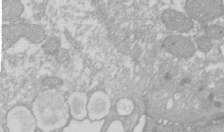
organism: Xenopus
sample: Cilia; centrioles in frog embryo cells